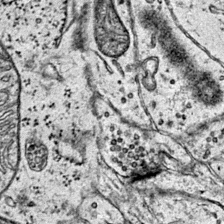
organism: Mouse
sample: Primary visual cortex